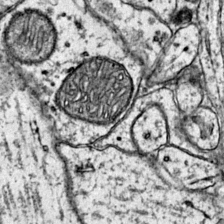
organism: Mouse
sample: Primary visual cortex